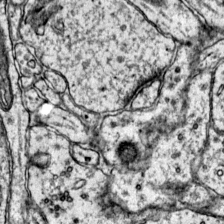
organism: Mouse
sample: Primary visual cortex